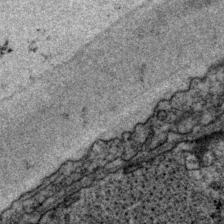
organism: P. pacificus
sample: Pharynx